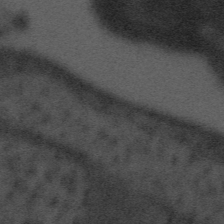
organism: Tuwongella immobilis